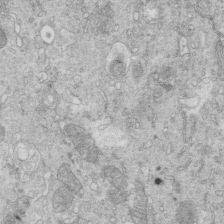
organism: Mouse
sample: Multiciliated cells